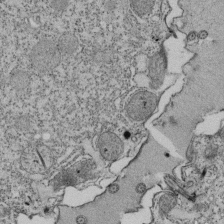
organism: Tetrahymena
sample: Cilia in tetrahymena